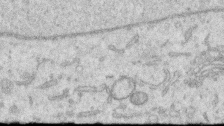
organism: Human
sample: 1205lu cells